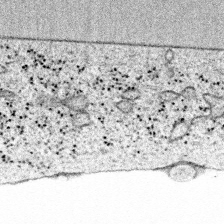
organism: Human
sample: HeLa cells